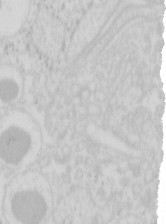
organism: Mouse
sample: Pancreas